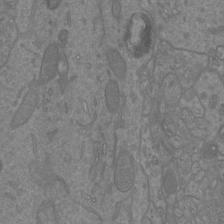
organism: Mouse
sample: Cortical neurons